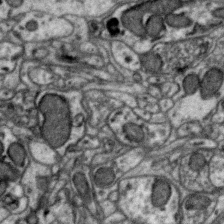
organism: Zebra finch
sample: Brain